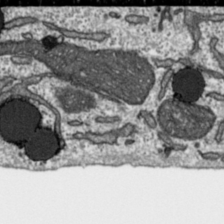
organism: Toxoplasma gondii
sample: Parasites in a vacuole inside a host cell